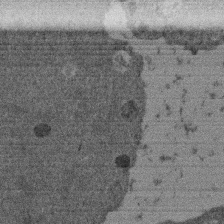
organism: Mouse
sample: Dividing mouse embryo 1 cell stage